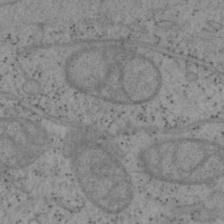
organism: Human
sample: HeLa cells